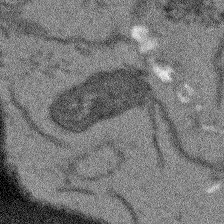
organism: Arabidopsis thaliana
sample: Root tip